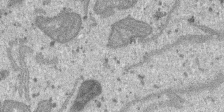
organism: Human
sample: Lung epithelial cells infected with SARS-CoV-2